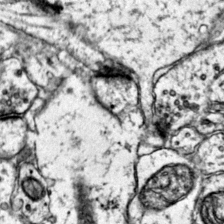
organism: Mouse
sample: Primary visual cortex